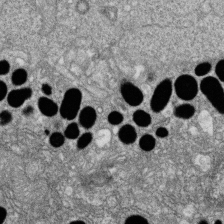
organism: Zebrafish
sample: Cilia; retinal pigment epithelium